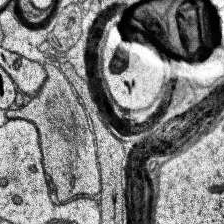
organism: Human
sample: Temporal Lobe